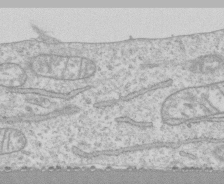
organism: Human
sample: CRL-1474